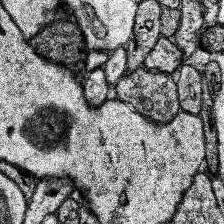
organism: Human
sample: Temporal Lobe